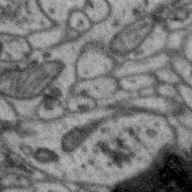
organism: Zebra finch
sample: Brain